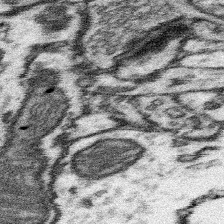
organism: Mouse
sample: Somatosensory cortex neuropil